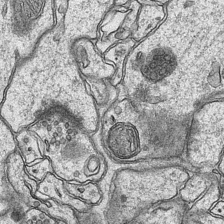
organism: Mouse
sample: CA1 Hippocampus